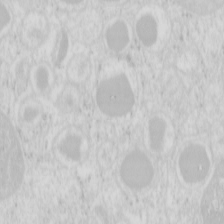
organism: Mouse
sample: Pancreas